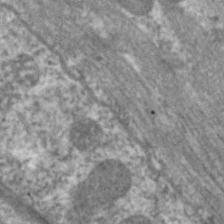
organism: C. elegans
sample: Pharynx